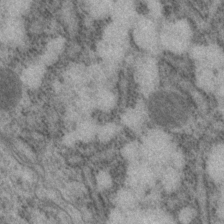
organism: P. pacificus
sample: Pharynx